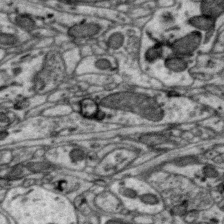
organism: Zebra finch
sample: Brain